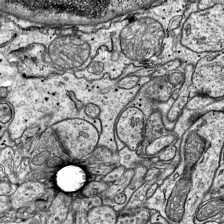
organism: Mouse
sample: Visual Cortex